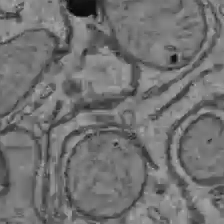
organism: C57BL Mouse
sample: Liver